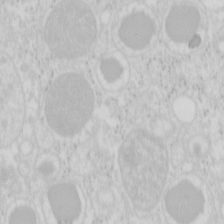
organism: Mouse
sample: Pancreas